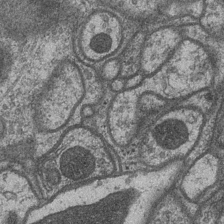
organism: Drosophila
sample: Optic medulla